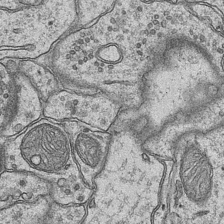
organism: Mouse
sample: CA1 Hippocampus